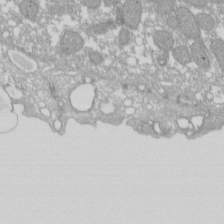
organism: Xenopus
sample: Cilia; centrioles in frog embryo cells